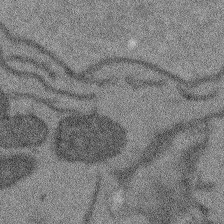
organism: Arabidopsis thaliana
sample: Root tip